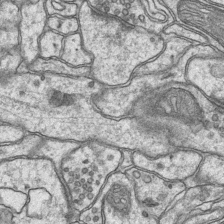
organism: Mouse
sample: CA1 Hippocampus